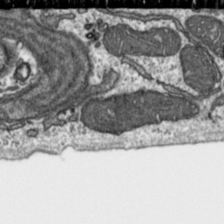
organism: Toxoplasma gondii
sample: Parasites in a vacuole inside a host cell